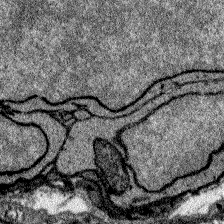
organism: Zebrafish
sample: Larval olfactory bulb